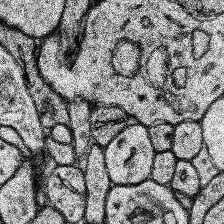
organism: Human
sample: Temporal Lobe